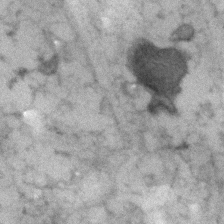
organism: Human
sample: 1205lu cells